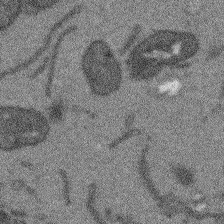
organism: Arabidopsis thaliana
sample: Root tip